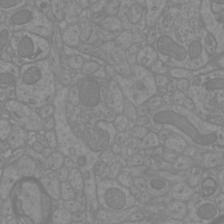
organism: Mouse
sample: Cortical neurons